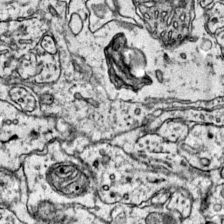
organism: Mouse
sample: Primary visual cortex